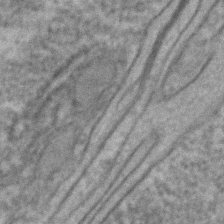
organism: C. elegans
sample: C. elegans embryo